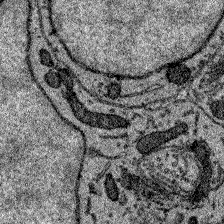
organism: Zebrafish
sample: Larval olfactory bulb